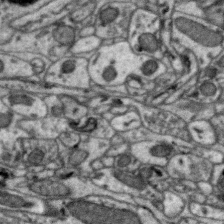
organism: Zebra finch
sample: Brain